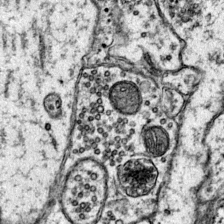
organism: Mouse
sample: Primary visual cortex